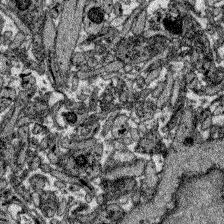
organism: Zebrafish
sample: Larval olfactory bulb